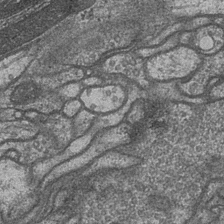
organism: Drosophila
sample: Optic medulla